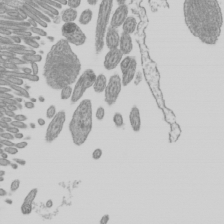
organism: Mouse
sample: Cilia; mouse epididymis